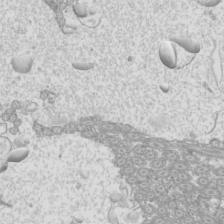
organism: Mouse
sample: Cilia; mouse epididymis